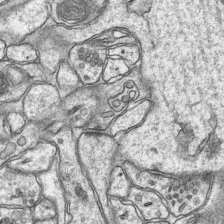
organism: Mouse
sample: CA1 Hippocampus